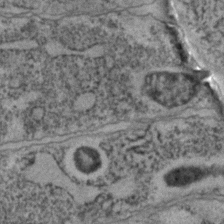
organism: C. elegans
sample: C. elegans embryo